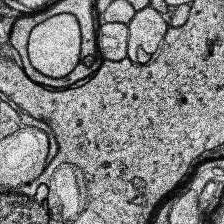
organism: Human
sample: Temporal Lobe